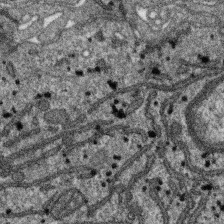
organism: Human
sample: Lung epithelial cells infected with SARS-CoV-2